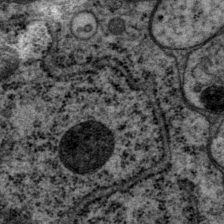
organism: P. pacificus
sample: Pharynx